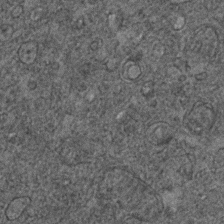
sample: Trachea